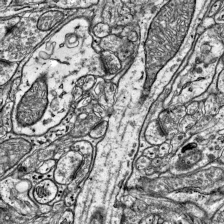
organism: Mouse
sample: Visual Cortex